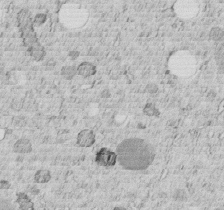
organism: C. elegans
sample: C. elegans embryo early stage